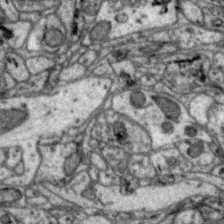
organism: Zebra finch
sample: Brain